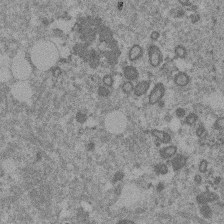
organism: Mouse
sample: Dividing mouse embryo 1 cell stage